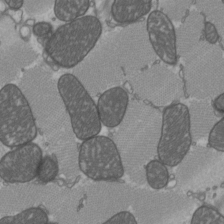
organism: C57BL Mouse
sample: Heart